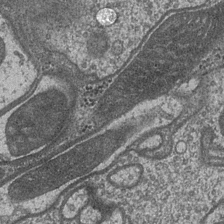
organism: Drosophila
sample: Optic medulla